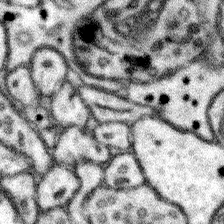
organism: Mouse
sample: Somatosensory cortex neuropil